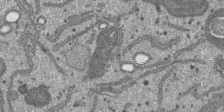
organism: Human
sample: Lung epithelial cells infected with SARS-CoV-2